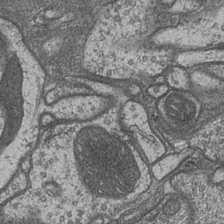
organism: Drosophila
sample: Optic medulla